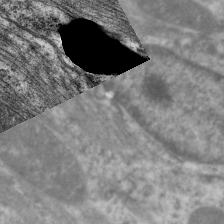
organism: C. elegans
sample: Pharynx